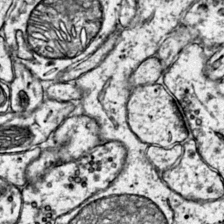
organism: Mouse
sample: Primary visual cortex